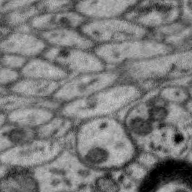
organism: Zebra finch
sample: Brain